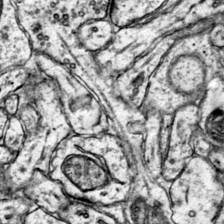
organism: Mouse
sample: Primary visual cortex